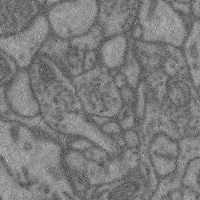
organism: Mouse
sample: Cerebral cortex